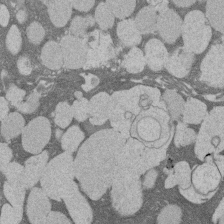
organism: Rat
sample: Salivary granule